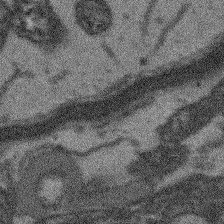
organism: Arabidopsis thaliana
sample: Root tip